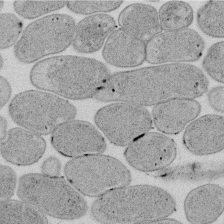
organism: E. coli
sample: Bacterial nucleoid